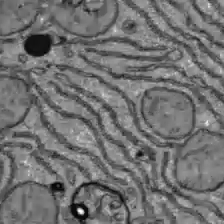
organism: C57BL Mouse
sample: Liver